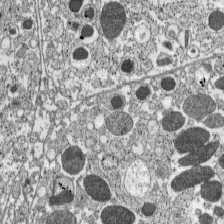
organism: C57BL Mouse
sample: Pancreatic islet